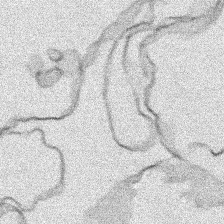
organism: Human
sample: Mitochondria in HCT116 cells